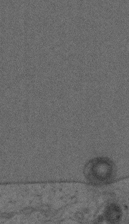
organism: Human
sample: HeLa cells